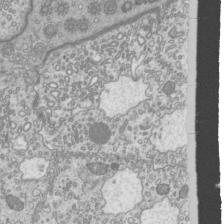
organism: Mouse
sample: Cilia; mouse epididymis